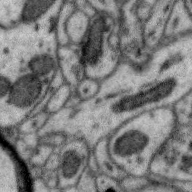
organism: Zebra finch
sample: Brain